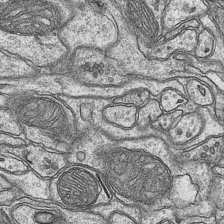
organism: Mouse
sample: CA1 Hippocampus